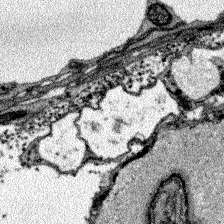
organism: Zebrafish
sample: Larval olfactory bulb